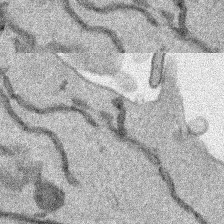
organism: Human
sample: Mitochondria in HCT116 cells